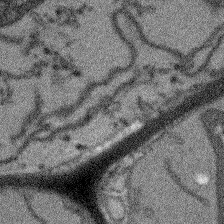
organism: Arabidopsis thaliana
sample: Root tip